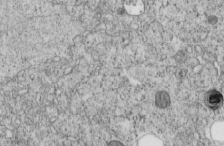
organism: C. elegans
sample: C. elegans embryo early stage